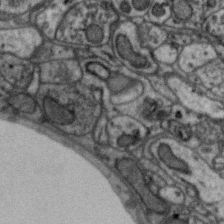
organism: Zebra finch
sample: Brain